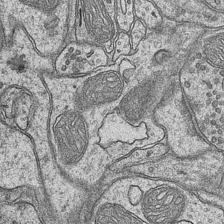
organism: Mouse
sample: CA1 Hippocampus